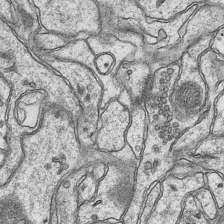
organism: Mouse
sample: CA1 Hippocampus